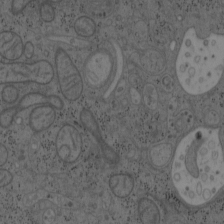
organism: Mouse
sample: OT-I killer T cells with ID8 ovarian cancer cells